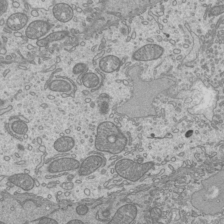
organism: Mouse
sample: Cilia; mouse epididymis